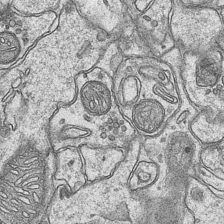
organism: Mouse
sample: CA1 Hippocampus